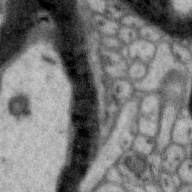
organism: Zebra finch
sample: Brain